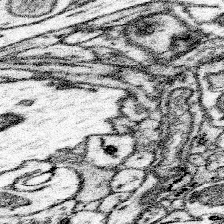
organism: Mouse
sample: Somatosensory cortex neuropil